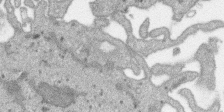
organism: Human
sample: Lung epithelial cells infected with SARS-CoV-2